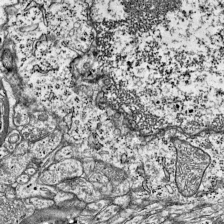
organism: Mouse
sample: Visual Cortex